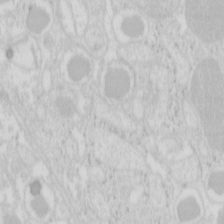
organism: Mouse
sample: Pancreas